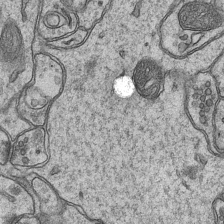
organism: Mouse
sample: CA1 Hippocampus